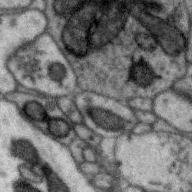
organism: Zebra finch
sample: Brain